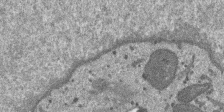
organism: Human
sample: Lung epithelial cells infected with SARS-CoV-2